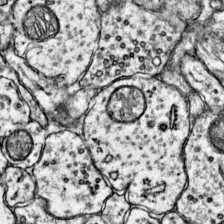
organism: Mouse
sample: Primary visual cortex